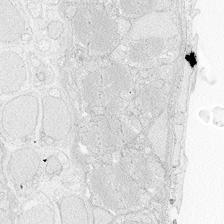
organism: Zebrafish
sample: Whole-Brain